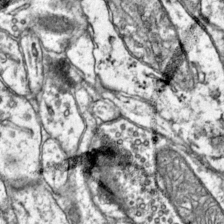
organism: Mouse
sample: Primary visual cortex